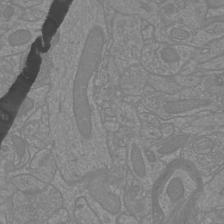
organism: Mouse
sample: Cortical neurons